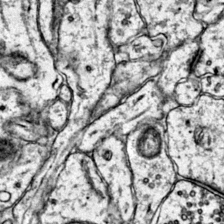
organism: Mouse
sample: Primary visual cortex